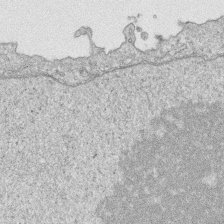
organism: Human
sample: HeLa cell HIV synapse